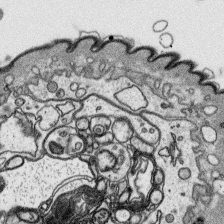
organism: Platynereis dumerilii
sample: Parapodia